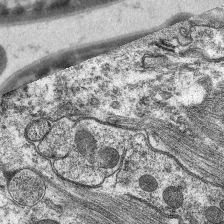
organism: C. elegans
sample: Pharynx